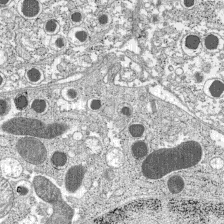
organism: C57BL Mouse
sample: Pancreatic islet